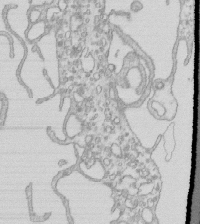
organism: Mouse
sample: Macrophages